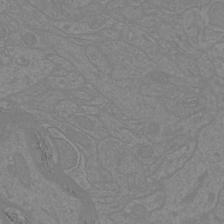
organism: Mouse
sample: Cortical neurons